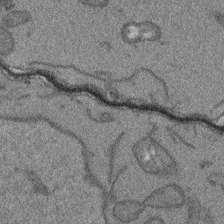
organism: Arabidopsis thaliana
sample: Root tip